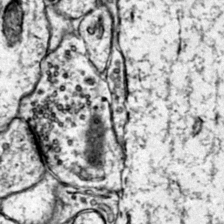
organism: Mouse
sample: Primary visual cortex